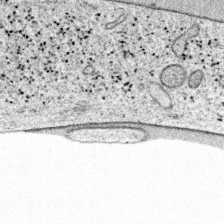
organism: Human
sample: HeLa cells